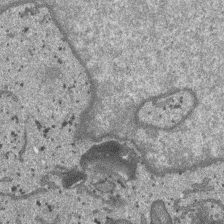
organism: Human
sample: Lung epithelial cells infected with SARS-CoV-2